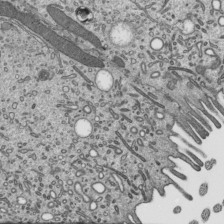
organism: Mouse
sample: Mouse epididymis efferent ductule cilia